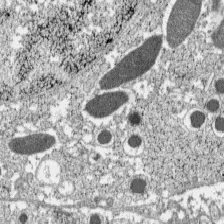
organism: C57BL Mouse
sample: Pancreatic islet